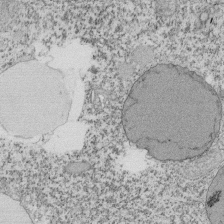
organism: Tetrahymena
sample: Cilia in tetrahymena